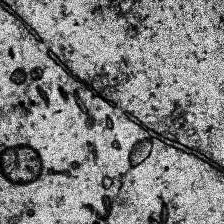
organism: Human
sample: Temporal Lobe